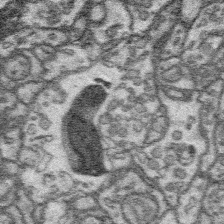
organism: Platynereis dumerilii